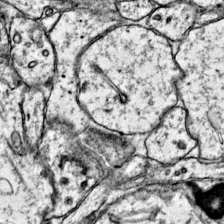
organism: Mouse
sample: Primary visual cortex